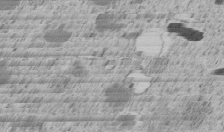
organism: C. elegans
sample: C. elegans embryo early stage